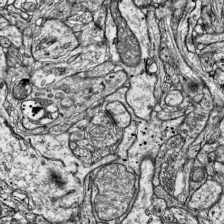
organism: Mouse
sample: Visual Cortex